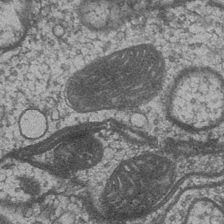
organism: Drosophila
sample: Optic medulla